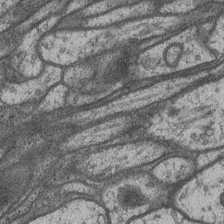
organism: Drosophila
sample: Optic medulla